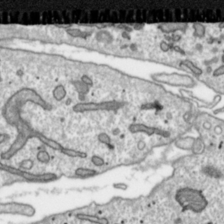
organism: Toxoplasma gondii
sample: Parasites in a vacuole inside a host cell